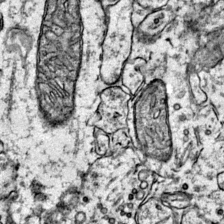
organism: Mouse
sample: Primary visual cortex